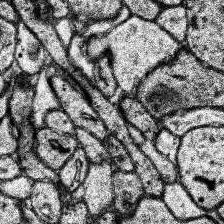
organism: Human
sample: Temporal Lobe